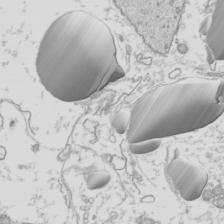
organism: Mouse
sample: Cilia; mouse epididymis